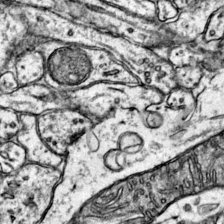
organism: Mouse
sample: Primary visual cortex